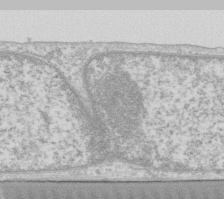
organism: Human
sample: Fibroblast cells